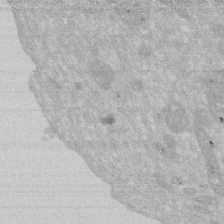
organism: Human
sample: HIV infected U937 cells